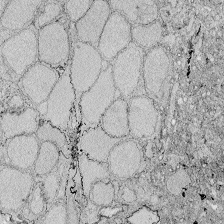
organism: Zebrafish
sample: Whole-Brain